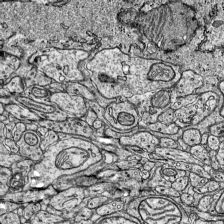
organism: Mouse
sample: Visual Cortex